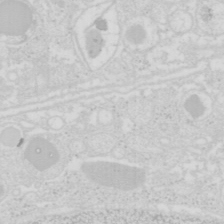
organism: Mouse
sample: Pancreas